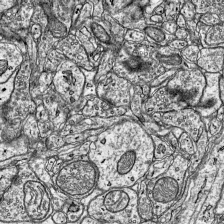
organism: Mouse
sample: Visual Cortex